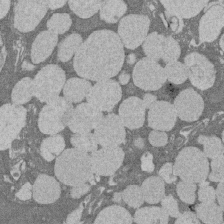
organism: Rat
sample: Salivary granule